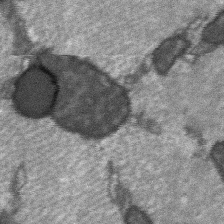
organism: C57BL Mouse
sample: Soleus